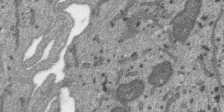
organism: Human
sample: Lung epithelial cells infected with SARS-CoV-2